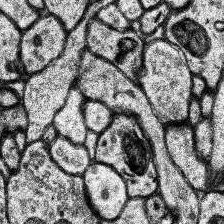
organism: Human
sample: Temporal Lobe